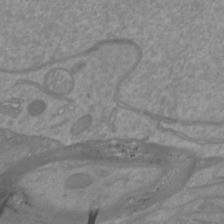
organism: Mouse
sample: Cortical neurons